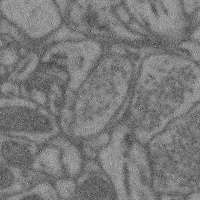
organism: Mouse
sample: Cerebral cortex